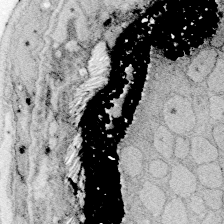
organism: Zebrafish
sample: Whole-Brain